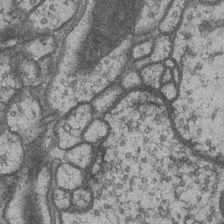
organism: Drosophila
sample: Optic medulla